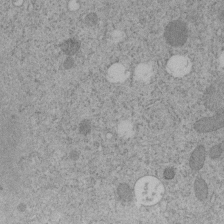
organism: C. elegans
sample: C. elegans embryo early stage